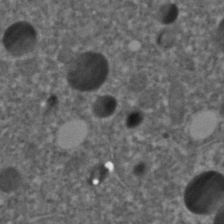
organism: C. elegans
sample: C. elegans embryo